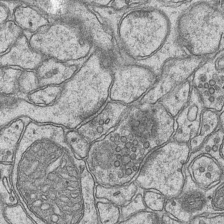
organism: Mouse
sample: CA1 Hippocampus